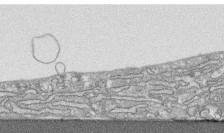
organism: Human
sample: CRL-1474